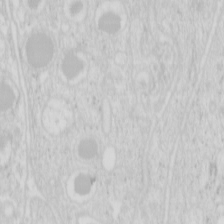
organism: Mouse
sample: Pancreas